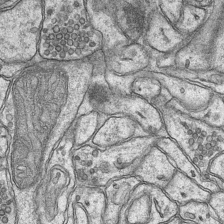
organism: Mouse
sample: CA1 Hippocampus